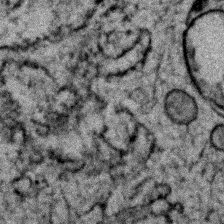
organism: Zebrafish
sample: Zebrafish embryo